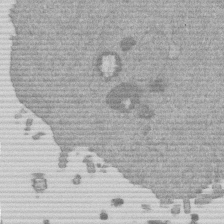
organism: Mouse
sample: Dividing mouse embryo 1 cell stage